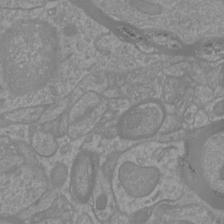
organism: Mouse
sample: Cortical neurons